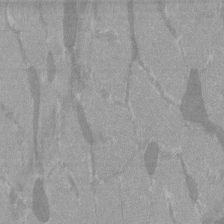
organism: C57BL Mouse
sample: Tibialis anterior muscle cell